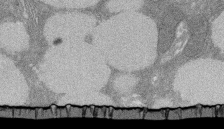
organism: Rat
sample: Salivary granule